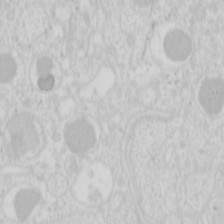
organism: Mouse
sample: Pancreas